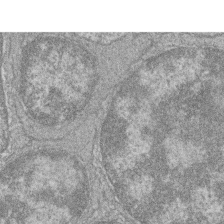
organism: Zebrafish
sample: Cilia; retinal pigment epithelium